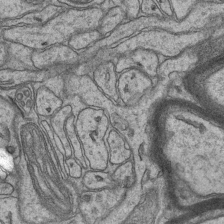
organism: Mouse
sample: CA1 Hippocampus